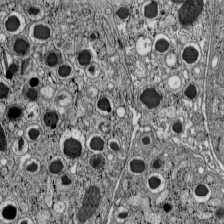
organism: C57BL Mouse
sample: Pancreatic islet